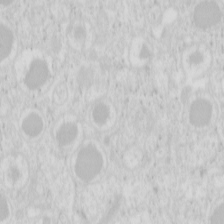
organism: Mouse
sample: Pancreas